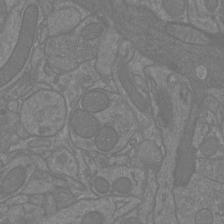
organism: Mouse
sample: Cortical neurons